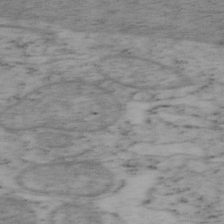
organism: Mouse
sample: OT-I killer T cells with ID8 ovarian cancer cells